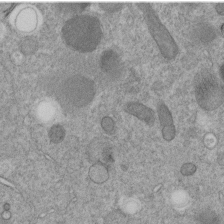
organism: C. elegans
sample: C. elegans embryo early stage